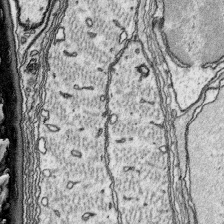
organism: Platynereis dumerilii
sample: Parapodia